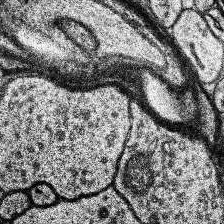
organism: Human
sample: Temporal Lobe